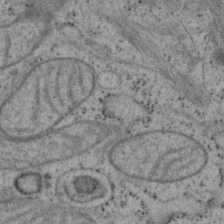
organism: Human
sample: HeLa cells